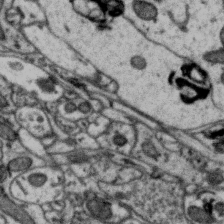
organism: Zebra finch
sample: Brain